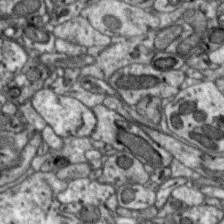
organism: Zebra finch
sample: Brain